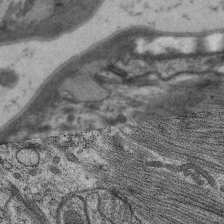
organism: C. elegans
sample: Pharynx